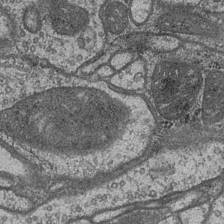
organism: Drosophila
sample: Optic medulla